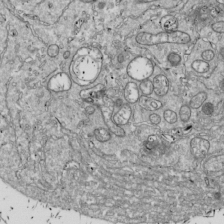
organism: Drosophila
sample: Cell division; meiosis; drosophila spermatocytes